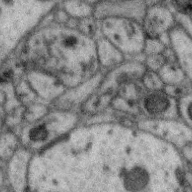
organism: Zebra finch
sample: Brain